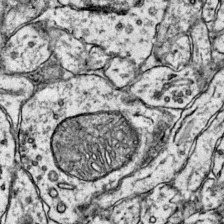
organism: Mouse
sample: Primary visual cortex